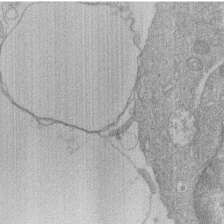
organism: Human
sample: Macrophage cells